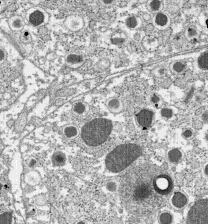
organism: C57BL Mouse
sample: Pancreatic islet